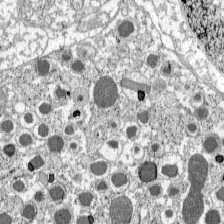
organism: C57BL Mouse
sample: Pancreatic islet